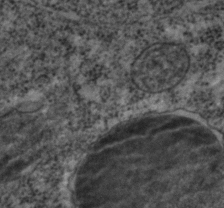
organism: C. elegans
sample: C. elegans embryo